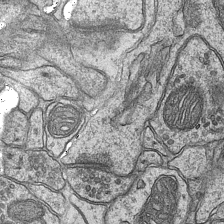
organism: Mouse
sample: CA1 Hippocampus